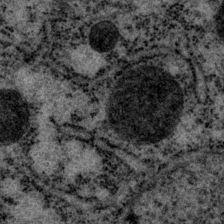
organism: P. pacificus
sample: Pharynx